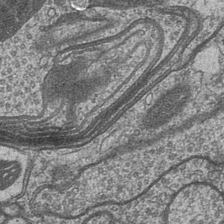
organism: Drosophila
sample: Optic medulla